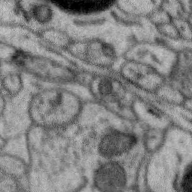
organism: Zebra finch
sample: Brain